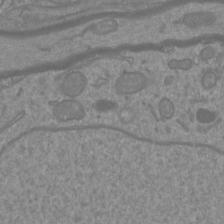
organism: Mouse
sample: Cortical neurons